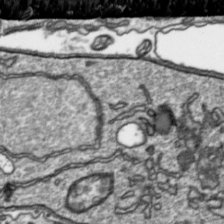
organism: Toxoplasma gondii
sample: Parasites in a vacuole inside a host cell